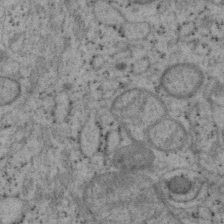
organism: Human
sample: HeLa cells